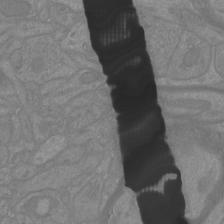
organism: Mouse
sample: Cortical neurons